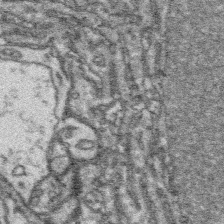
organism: Platynereis dumerilii